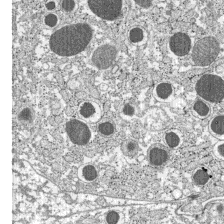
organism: C57BL Mouse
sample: Pancreatic islet